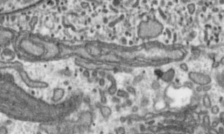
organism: Toxoplasma gondii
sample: Parasites in a vacuole inside a host cell